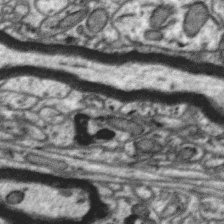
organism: Zebra finch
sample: Brain